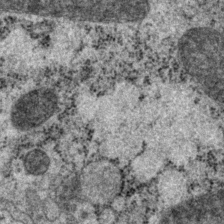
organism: P. pacificus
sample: Pharynx